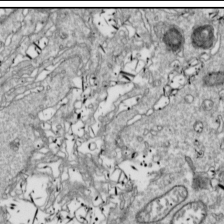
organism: Drosophila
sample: Cell division; meiosis; drosophila spermatocytes